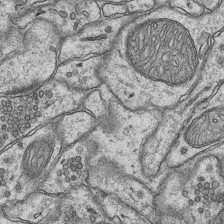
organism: Mouse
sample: CA1 Hippocampus